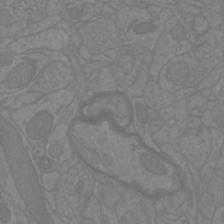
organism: Mouse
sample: Cortical neurons